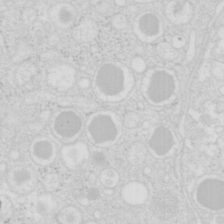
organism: Mouse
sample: Pancreas